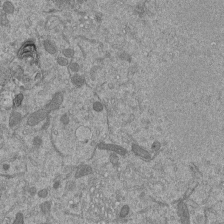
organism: Mouse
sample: ED-1 cell nuclei; centrioles